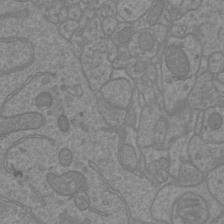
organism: Mouse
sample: Cortical neurons